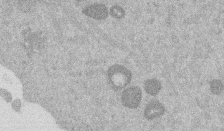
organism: Mouse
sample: Dividing mouse embryo 1 cell stage